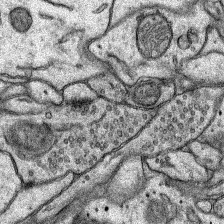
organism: Rat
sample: Hippocampus